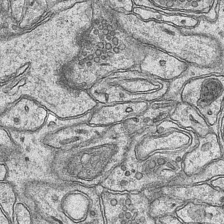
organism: Mouse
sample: CA1 Hippocampus